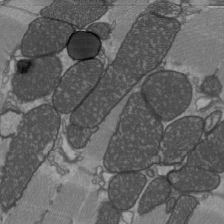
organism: C57BL Mouse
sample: Heart